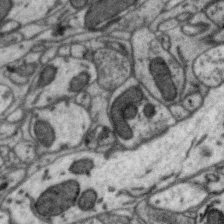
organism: Zebra finch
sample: Brain